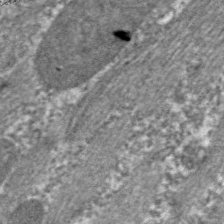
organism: C. elegans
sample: Pharynx